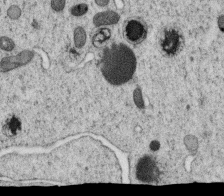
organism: C. elegans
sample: C. elegans oocyte; sperm cells